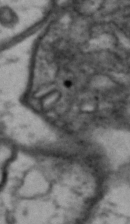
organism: Drosophila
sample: Brain